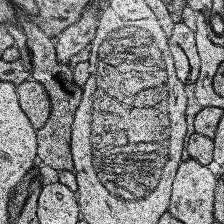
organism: Human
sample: Temporal Lobe